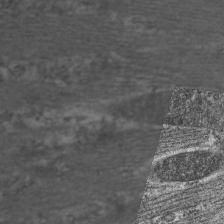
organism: C. elegans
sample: Pharynx